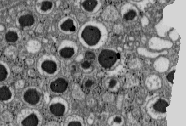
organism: C57BL Mouse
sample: Pancreatic islet